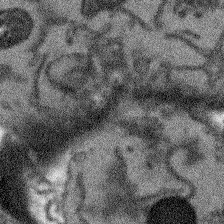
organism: Arabidopsis thaliana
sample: Root tip